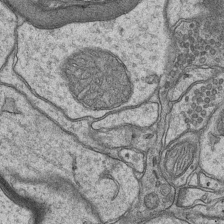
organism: Mouse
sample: CA1 Hippocampus